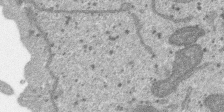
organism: Human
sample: Lung epithelial cells infected with SARS-CoV-2